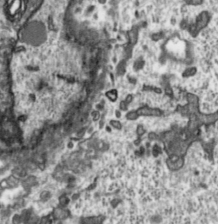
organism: Toxoplasma gondii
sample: Parasites in a vacuole inside a host cell